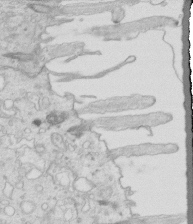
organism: Mouse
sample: Multiciliated cells